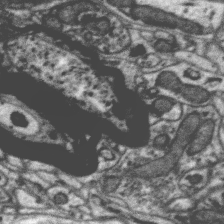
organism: Zebra finch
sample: Brain